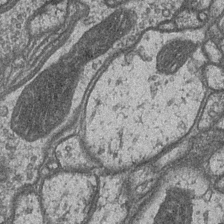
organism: Drosophila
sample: Optic medulla